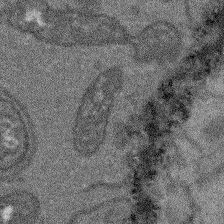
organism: Arabidopsis thaliana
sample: Root tip